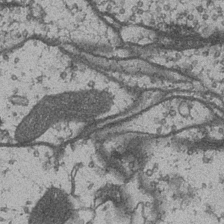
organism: Drosophila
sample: Optic medulla